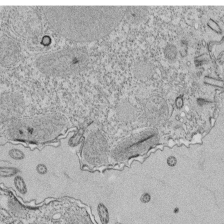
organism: Tetrahymena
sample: Cilia in tetrahymena